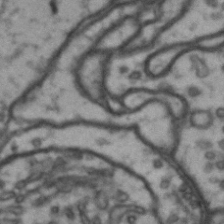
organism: Drosophila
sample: Brain